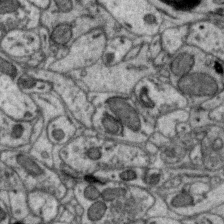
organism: Zebra finch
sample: Brain